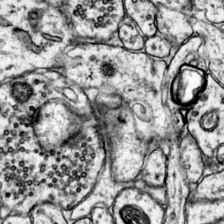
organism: Mouse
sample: Primary visual cortex